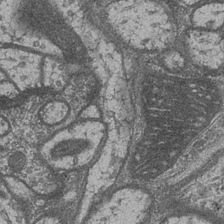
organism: Drosophila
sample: Optic medulla